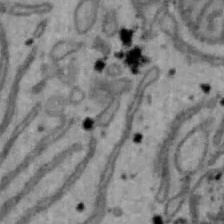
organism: Mouse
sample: Liver